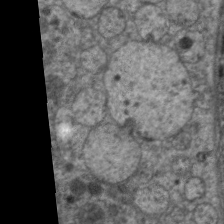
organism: C. elegans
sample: Pharynx